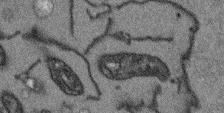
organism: Arabidopsis thaliana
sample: Root tip